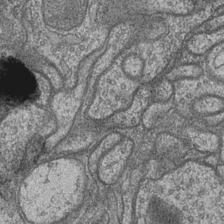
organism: Drosophila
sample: Optic medulla